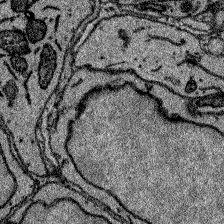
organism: Zebrafish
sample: Larval olfactory bulb